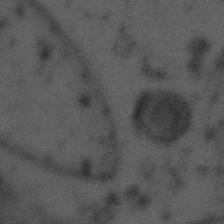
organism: Tuwongella immobilis